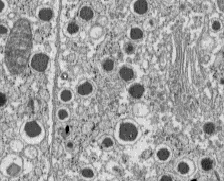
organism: C57BL Mouse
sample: Pancreatic islet